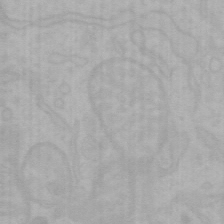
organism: Mouse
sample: Choroid plexus